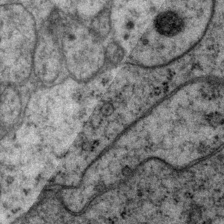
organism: P. pacificus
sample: Pharynx